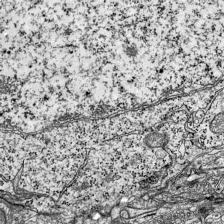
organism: Mouse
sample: Visual Cortex